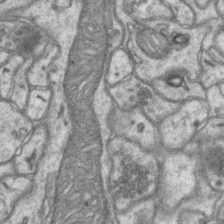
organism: Mouse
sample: CA1 Hippocampus